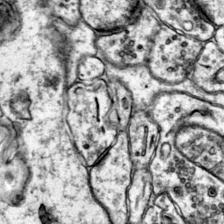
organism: Mouse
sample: Primary visual cortex